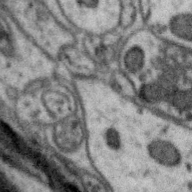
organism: Zebra finch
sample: Brain